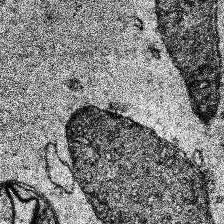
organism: Human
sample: Temporal Lobe